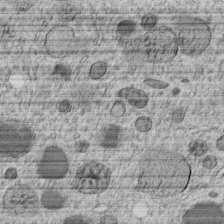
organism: C. elegans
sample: C. elegans embryo early stage